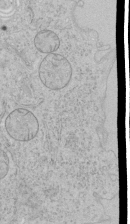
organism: Human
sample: Mitochondria in HCT116 cells